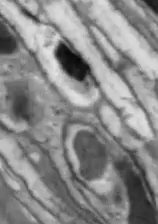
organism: Drosophila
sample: Optic lobe